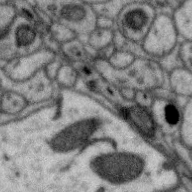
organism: Zebra finch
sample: Brain